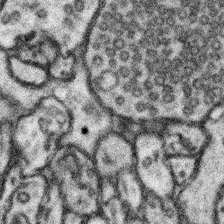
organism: Mouse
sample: Somatosensory cortex neuropil